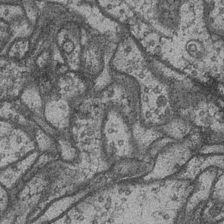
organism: Drosophila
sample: Optic medulla